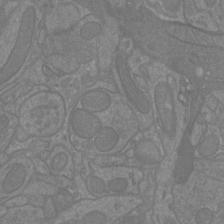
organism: Mouse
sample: Cortical neurons